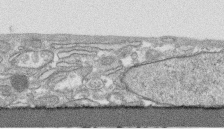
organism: Human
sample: CRL-1474